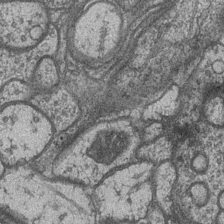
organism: Drosophila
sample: Optic medulla